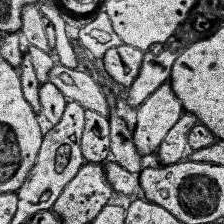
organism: Human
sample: Temporal Lobe